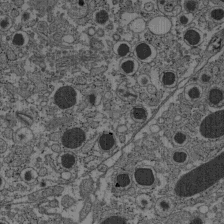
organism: C57BL Mouse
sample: Pancreatic islet